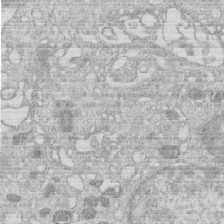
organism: Human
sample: Macrophage cells